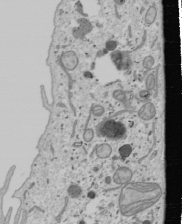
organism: Human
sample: Mitochondria in U2OS cells